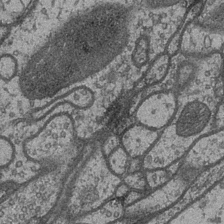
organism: Drosophila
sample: Optic medulla